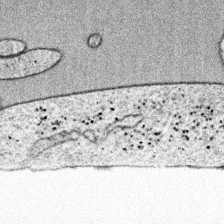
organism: Human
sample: HeLa cells